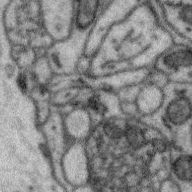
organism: Zebra finch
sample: Brain